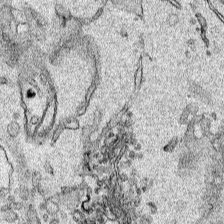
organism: Human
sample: Mitochondria in HCT116 cells